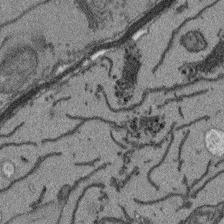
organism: Arabidopsis thaliana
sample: Root tip